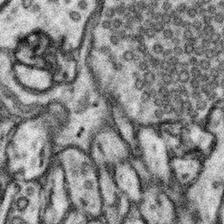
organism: Mouse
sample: Somatosensory cortex neuropil